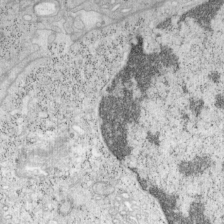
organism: Mouse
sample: OT-I killer T cells with ID8 ovarian cancer cells